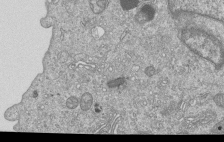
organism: Human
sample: MDA-MB-231 cells